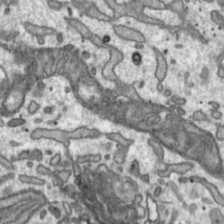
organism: Toxoplasma gondii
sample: Parasites in a vacuole inside a host cell